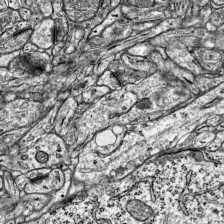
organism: Mouse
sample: Visual Cortex